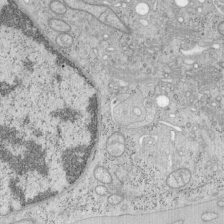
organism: Mouse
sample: OT-I killer T cells with ID8 ovarian cancer cells